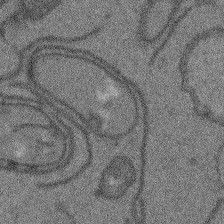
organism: Arabidopsis thaliana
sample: Root tip